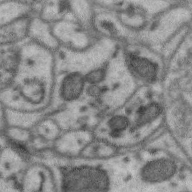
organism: Zebra finch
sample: Brain